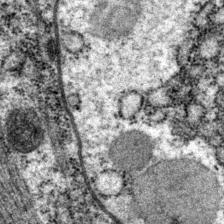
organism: P. pacificus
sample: Pharynx